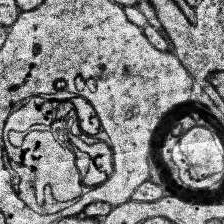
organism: Human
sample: Temporal Lobe